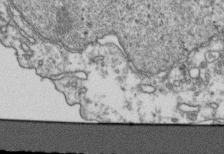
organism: Human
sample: Activated Jurkat CD4+ T cells